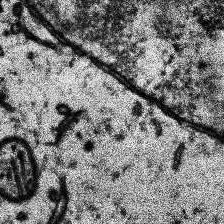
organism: Human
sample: Temporal Lobe